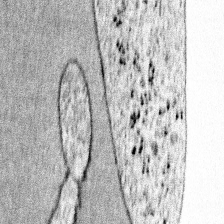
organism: Human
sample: HeLa cells